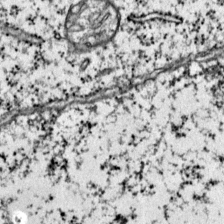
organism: Mouse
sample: Primary visual cortex